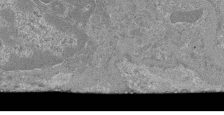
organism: Mouse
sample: Glomerulus